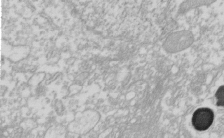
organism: Xenopus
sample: Cilia; centrioles in frog embryo cells